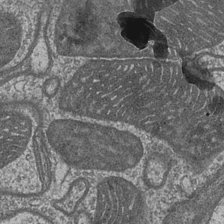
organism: Drosophila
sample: Optic medulla